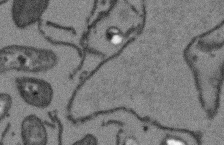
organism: Arabidopsis thaliana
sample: Root tip